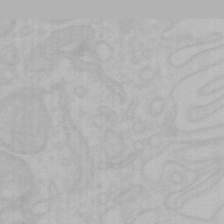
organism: Mouse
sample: Choroid plexus